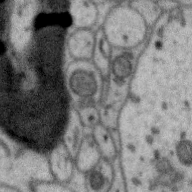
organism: Zebra finch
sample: Brain